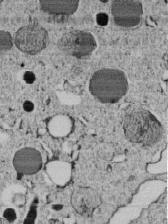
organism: C. elegans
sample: C. elegans embryo early stage